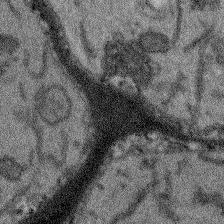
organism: Arabidopsis thaliana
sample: Root tip